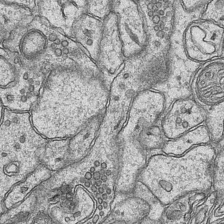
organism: Mouse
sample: CA1 Hippocampus